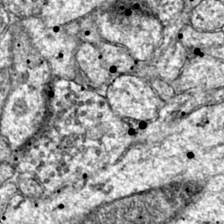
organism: Mouse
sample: Primary visual cortex